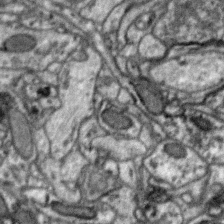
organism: Zebra finch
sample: Brain